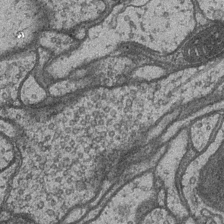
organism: Drosophila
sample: Optic medulla